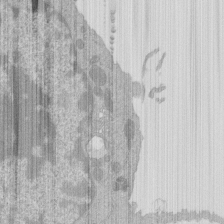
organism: Mouse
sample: Activated Pmel transgenic CD8+ T Cells